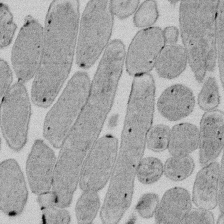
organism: E. coli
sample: Bacterial nucleoid